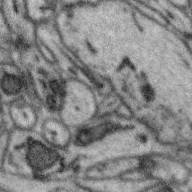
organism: Zebra finch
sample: Brain